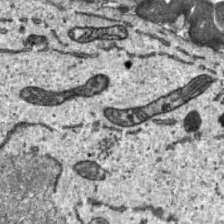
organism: Human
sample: HeLa cells